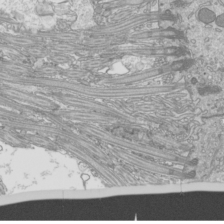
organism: Mouse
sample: Cilia; mouse epididymis